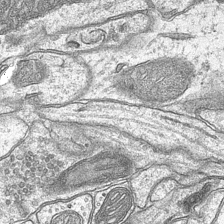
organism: Mouse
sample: CA1 Hippocampus